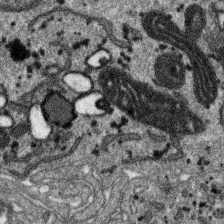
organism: Human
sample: Lung epithelial cells infected with SARS-CoV-2